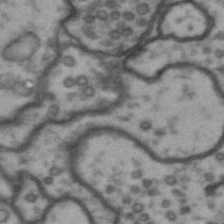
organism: Drosophila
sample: Brain